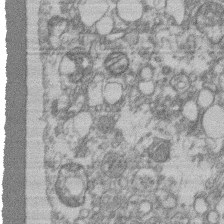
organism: Mouse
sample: T cell stromal cell synapse